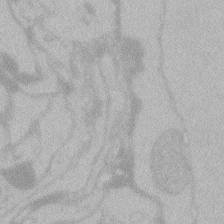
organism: Zebrafish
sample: Macrophage infected with Toxoplasma gondii